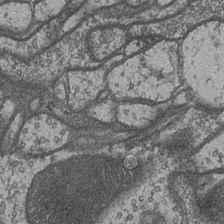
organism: Drosophila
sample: Optic medulla